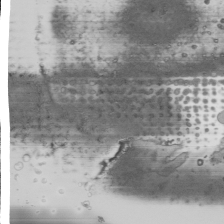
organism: Human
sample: Mitochondria in HCT116 cells